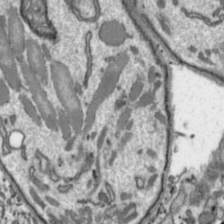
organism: Toxoplasma gondii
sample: Parasites in a vacuole inside a host cell